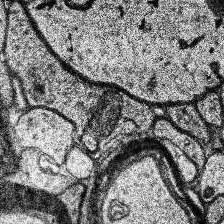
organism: Human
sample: Temporal Lobe